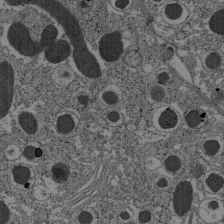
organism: C57BL Mouse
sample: Pancreatic islet